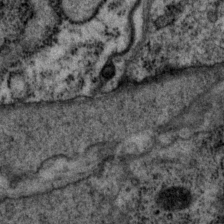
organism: P. pacificus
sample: Pharynx